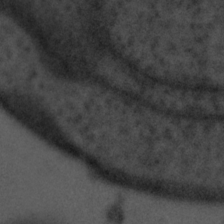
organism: Tuwongella immobilis